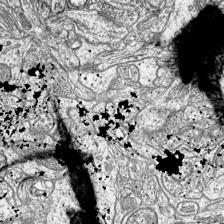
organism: Mouse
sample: Visual Cortex